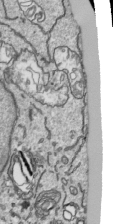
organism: Human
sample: Mitochondria in HCT116 cells